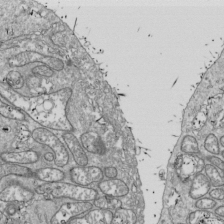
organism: Drosophila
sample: Cell division; meiosis; drosophila spermatocytes